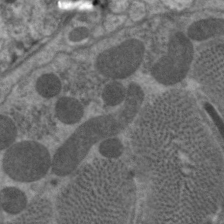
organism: C. elegans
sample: Pharynx